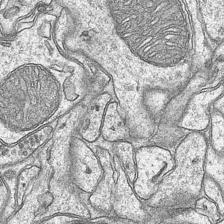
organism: Mouse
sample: CA1 Hippocampus